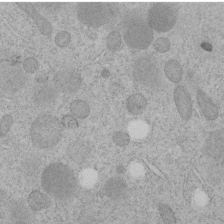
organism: C. elegans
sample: C. elegans embryo early stage